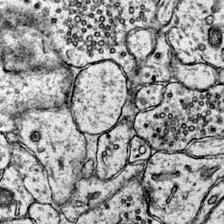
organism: Mouse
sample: Primary visual cortex